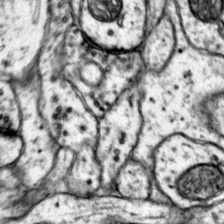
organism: Mouse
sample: Primary visual cortex